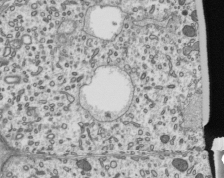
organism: Mouse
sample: Mouse epididymis efferent ductule cilia